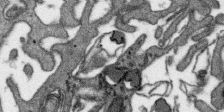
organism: Human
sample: Lung epithelial cells, uninfected (mock) control